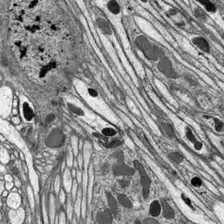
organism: Drosophila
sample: Optic lobe